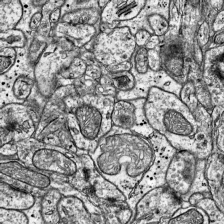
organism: Mouse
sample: Visual Cortex